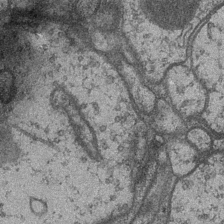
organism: Drosophila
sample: Optic medulla